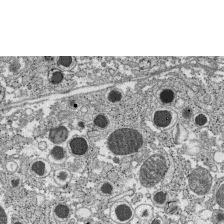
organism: C57BL Mouse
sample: Pancreatic islet